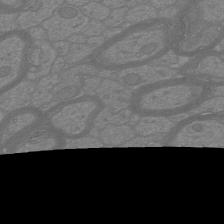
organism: Mouse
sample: Cortical neurons